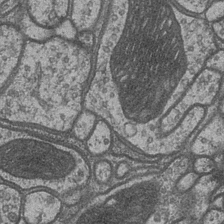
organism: Drosophila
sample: Optic medulla